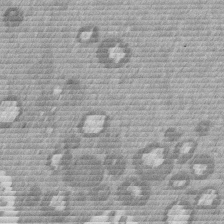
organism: Mouse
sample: Dividing mouse embryo 1 cell stage